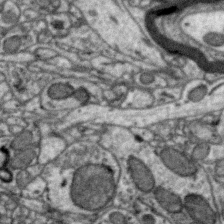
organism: Zebra finch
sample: Brain